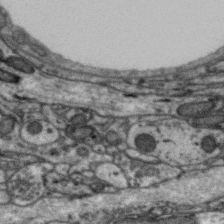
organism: Zebra finch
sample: Brain